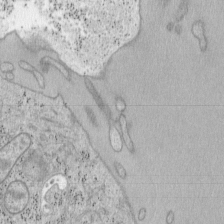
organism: Mouse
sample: OT-I killer T cells with ID8 ovarian cancer cells